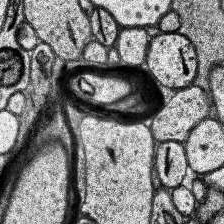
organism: Human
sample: Temporal Lobe